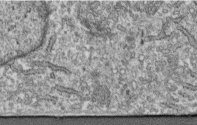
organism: Human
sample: Centriole in fibroblast cells